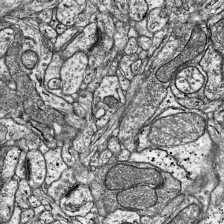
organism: Mouse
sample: Visual Cortex